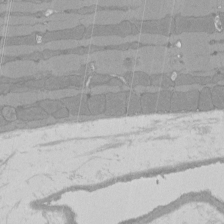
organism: Rat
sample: Left ventricle